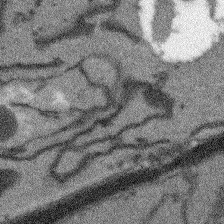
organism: Arabidopsis thaliana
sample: Root tip